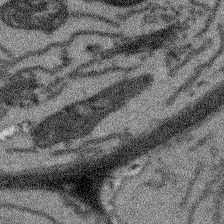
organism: Arabidopsis thaliana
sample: Root tip